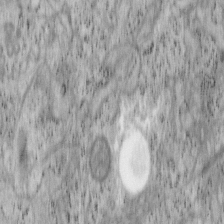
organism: Human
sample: HeLa cells